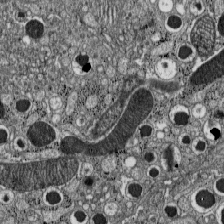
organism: C57BL Mouse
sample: Pancreatic islet